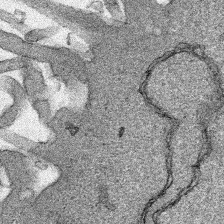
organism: Human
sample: Mitochondria in HCT116 cells